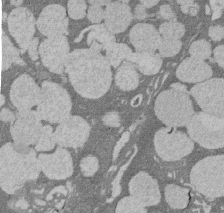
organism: Rat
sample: Salivary granule